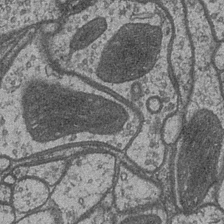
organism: Drosophila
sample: Optic medulla